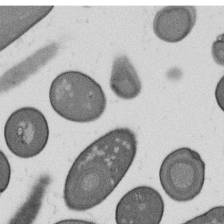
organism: B. subtilis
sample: Bacterial spore